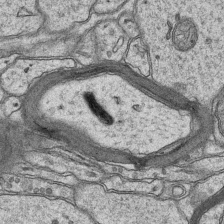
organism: Mouse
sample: CA1 Hippocampus